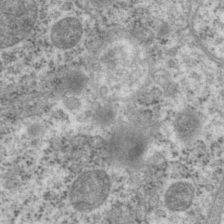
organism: P. pacificus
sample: Pharynx